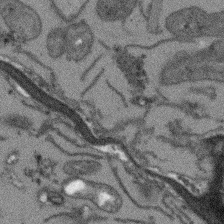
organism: Arabidopsis thaliana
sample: Root tip